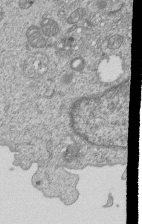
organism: Human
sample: MDA-MB-231 cells